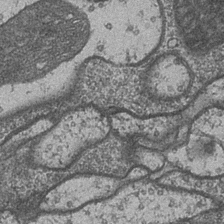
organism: Drosophila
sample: Optic medulla